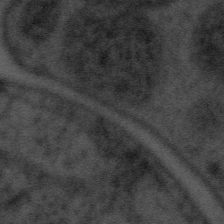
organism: Tuwongella immobilis